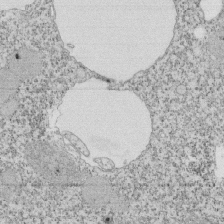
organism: Tetrahymena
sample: Cilia in tetrahymena